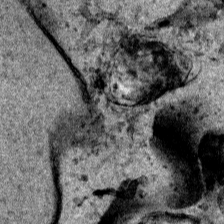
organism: Human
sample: Mitochondria in HCT116 cells